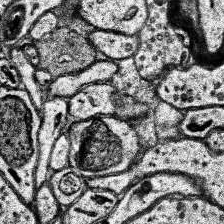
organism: Human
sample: Temporal Lobe